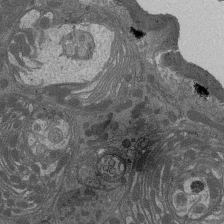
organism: Drosophila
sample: Antenna